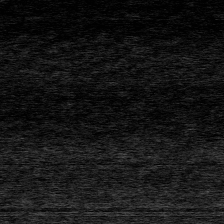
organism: Human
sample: HeLa cells